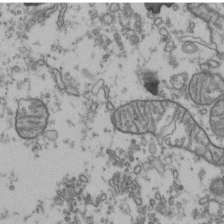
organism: Human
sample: Activated Jurkat CD4+ T cells